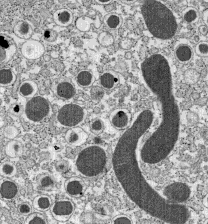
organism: C57BL Mouse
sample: Pancreatic islet